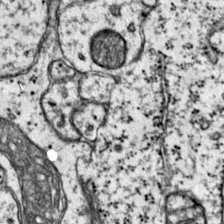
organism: Mouse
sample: Primary visual cortex